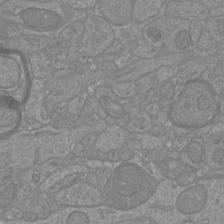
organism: Mouse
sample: Cortical neurons